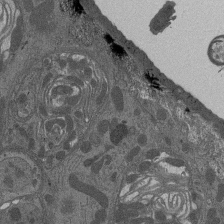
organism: Drosophila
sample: Antenna